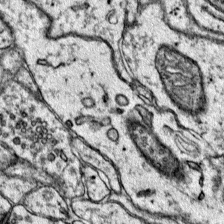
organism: Mouse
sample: Primary visual cortex